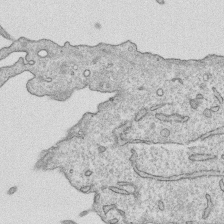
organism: Human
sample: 1205lu cells